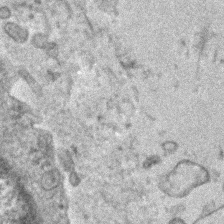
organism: Human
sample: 1205lu cells